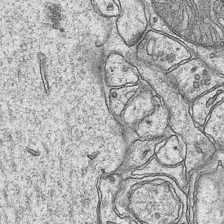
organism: Mouse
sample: CA1 Hippocampus